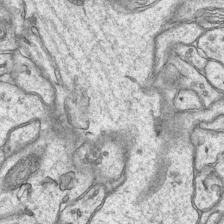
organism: Mouse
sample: CA1 Hippocampus